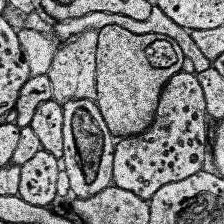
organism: Human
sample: Temporal Lobe